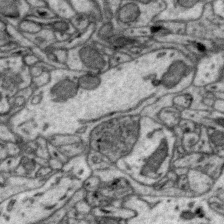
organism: Zebra finch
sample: Brain